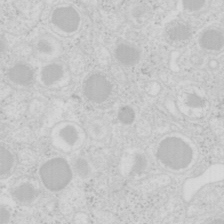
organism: Mouse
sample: Pancreas